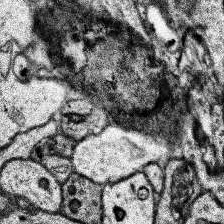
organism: Human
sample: Temporal Lobe